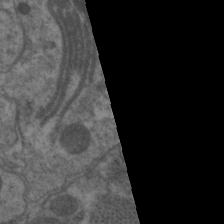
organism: C. elegans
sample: Pharynx